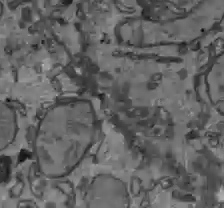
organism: C57BL Mouse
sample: Liver